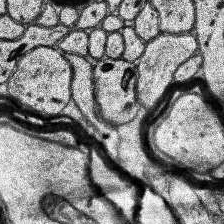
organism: Human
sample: Temporal Lobe